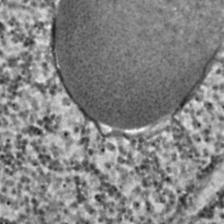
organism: C. elegans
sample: C. elegans embryo